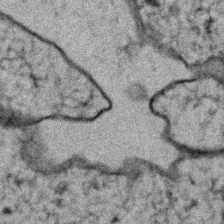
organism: Zebrafish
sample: Zebrafish embryo